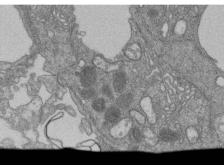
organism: Human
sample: Retinal organoid Rod and Cone cells